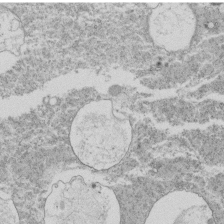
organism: Tetrahymena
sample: Cilia in tetrahymena